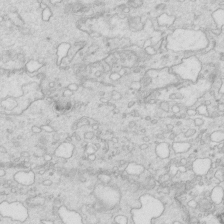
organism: Mouse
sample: Multiciliated cells